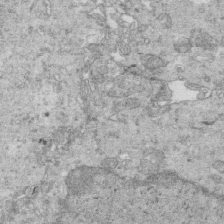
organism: Mouse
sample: Multiciliated cells